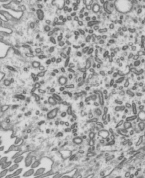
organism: Mouse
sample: Mouse epididymis efferent ductule cilia